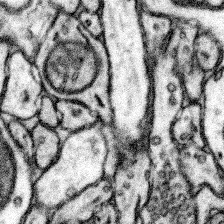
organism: Mouse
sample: Somatosensory cortex neuropil